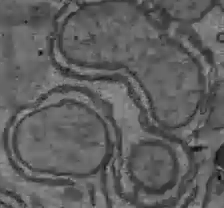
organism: C57BL Mouse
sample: Liver